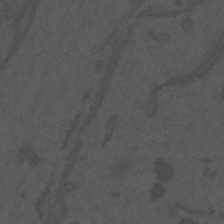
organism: Mouse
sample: Suprachiasmatic nucleus